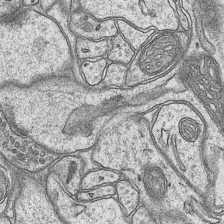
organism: Mouse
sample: CA1 Hippocampus